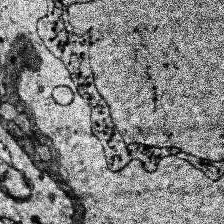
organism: Human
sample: Temporal Lobe